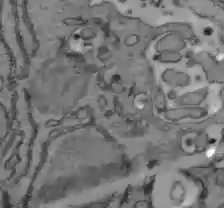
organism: C57BL Mouse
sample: Liver